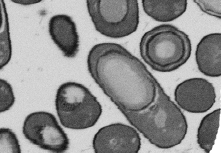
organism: B. subtilis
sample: Bacterial spore